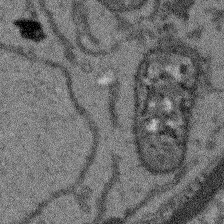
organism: Arabidopsis thaliana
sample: Root tip